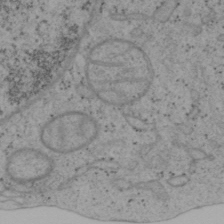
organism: Human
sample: HeLa cells